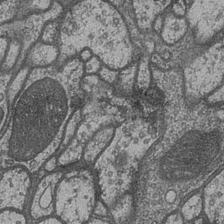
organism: Drosophila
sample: Optic medulla